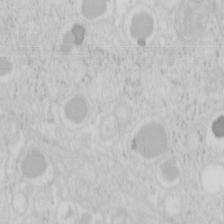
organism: Mouse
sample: Pancreas